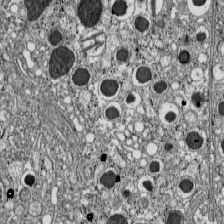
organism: C57BL Mouse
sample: Pancreatic islet